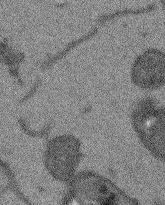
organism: Arabidopsis thaliana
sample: Root tip